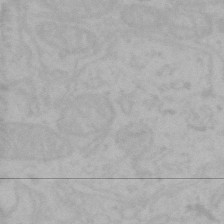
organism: Mouse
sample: Choroid plexus